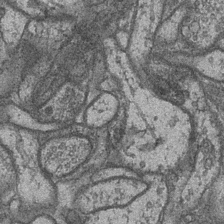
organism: Drosophila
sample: Optic medulla